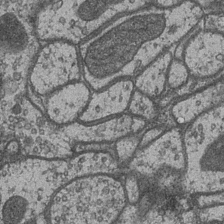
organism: Drosophila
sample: Optic medulla